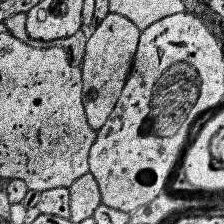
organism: Human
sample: Temporal Lobe